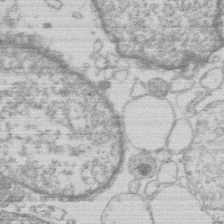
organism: Human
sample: Macrophage cells